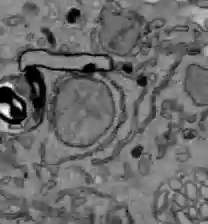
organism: C57BL Mouse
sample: Liver